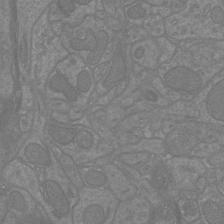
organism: Mouse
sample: Cortical neurons